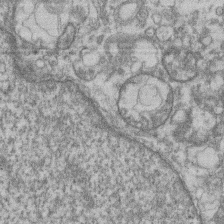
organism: Mouse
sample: T cell stromal cell synapse